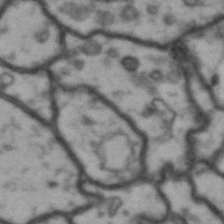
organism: Drosophila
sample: Brain